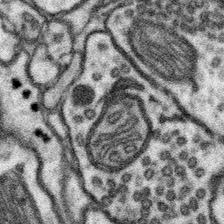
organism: Mouse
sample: Somatosensory cortex neuropil